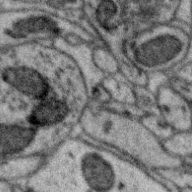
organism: Zebra finch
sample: Brain